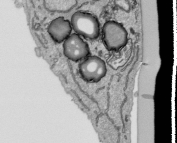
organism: Human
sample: Mitochondria in HCT116 cells